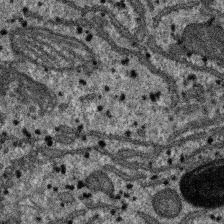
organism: Human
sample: Lung epithelial cells infected with SARS-CoV-2